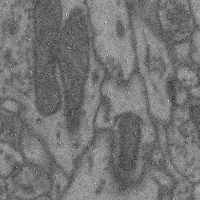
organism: Mouse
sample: Cerebral cortex